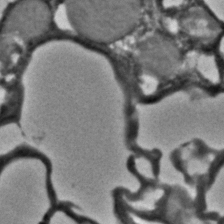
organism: C. elegans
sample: C. elegans embryo